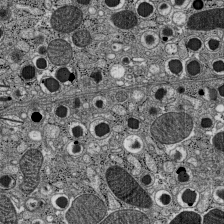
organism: C57BL Mouse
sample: Pancreatic islet